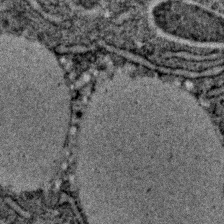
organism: C. elegans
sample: C. elegans embryo